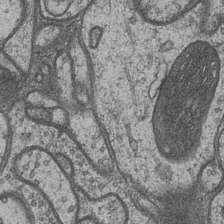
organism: Drosophila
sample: Optic medulla